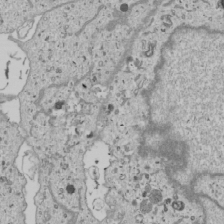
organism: Human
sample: Mitochondria in U2OS cells